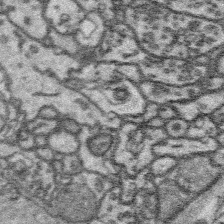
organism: Platynereis dumerilii